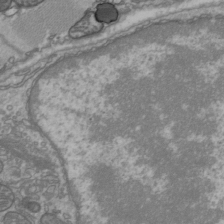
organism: C57BL Mouse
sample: Heart